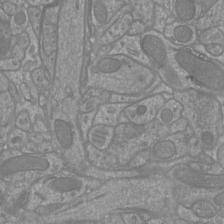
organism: Mouse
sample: Cortical neurons